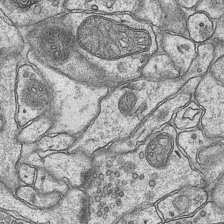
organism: Mouse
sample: CA1 Hippocampus